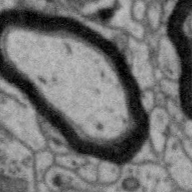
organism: Zebra finch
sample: Brain